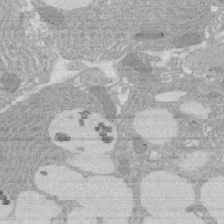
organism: Rat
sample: Salivary granule